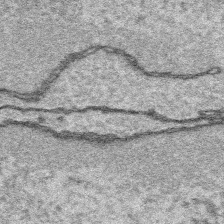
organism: Platynereis dumerilii